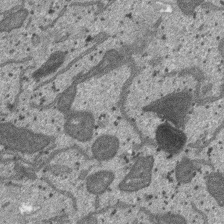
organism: Human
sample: Lung epithelial cells infected with SARS-CoV-2